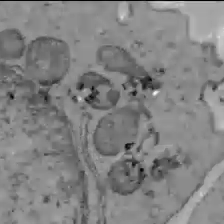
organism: C57BL Mouse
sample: Liver